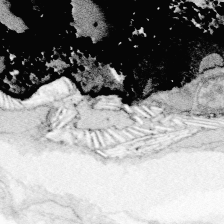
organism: Zebrafish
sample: Whole-Brain